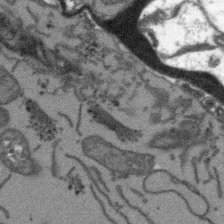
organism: Arabidopsis thaliana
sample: Root tip